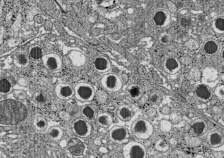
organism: C57BL Mouse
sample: Pancreatic islet